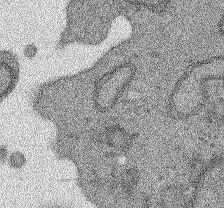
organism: Human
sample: HeLa cells